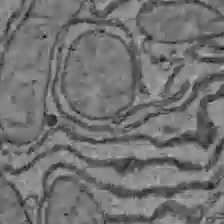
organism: C57BL Mouse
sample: Liver